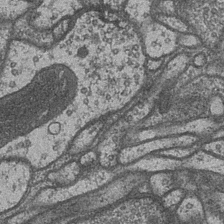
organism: Drosophila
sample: Optic medulla